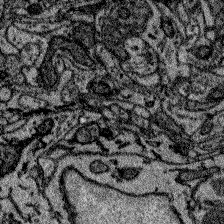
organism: Zebrafish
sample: Larval olfactory bulb